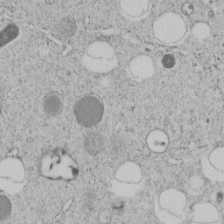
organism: C. elegans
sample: C. elegans embryo early stage